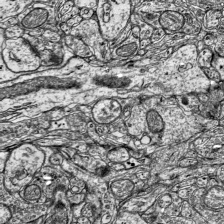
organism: Mouse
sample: Visual Cortex